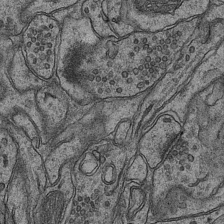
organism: Mouse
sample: CA1 Hippocampus